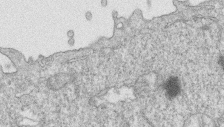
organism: Human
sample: HeLa cell HIV synapse